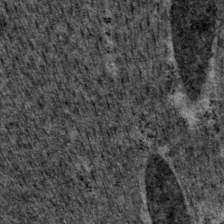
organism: P. pacificus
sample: Pharynx